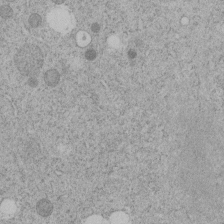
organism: C. elegans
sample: C. elegans embryo early stage